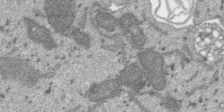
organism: Human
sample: Lung epithelial cells infected with SARS-CoV-2